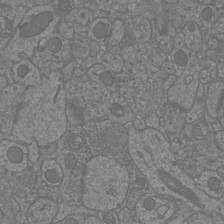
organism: Mouse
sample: Cortical neurons